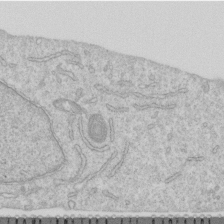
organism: Human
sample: Centriole in RPE cells